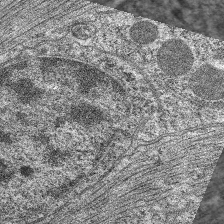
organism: C. elegans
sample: Pharynx